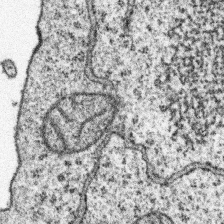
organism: Human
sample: HeLa cells